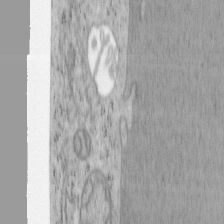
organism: Human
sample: HeLa cells